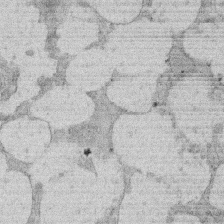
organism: Rat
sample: Salivary granule